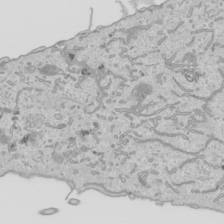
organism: Human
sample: Mitochondria in HCT116 cells